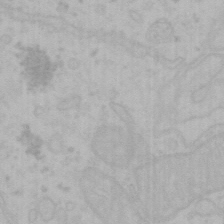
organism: Mouse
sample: Choroid plexus